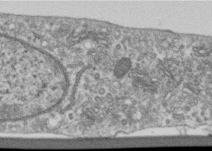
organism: Human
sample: Centriole in RPE cells